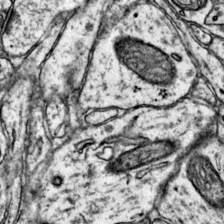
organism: Mouse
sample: Primary visual cortex